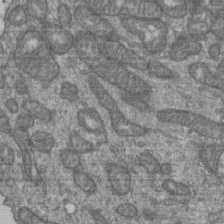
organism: Human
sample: Retinal organoid Rod and Cone cells